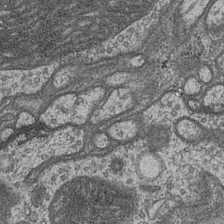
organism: Drosophila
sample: Optic medulla